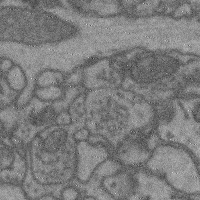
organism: Mouse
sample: Cerebral cortex